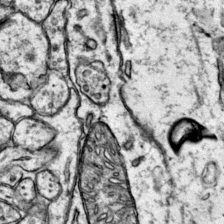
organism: Mouse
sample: Primary visual cortex